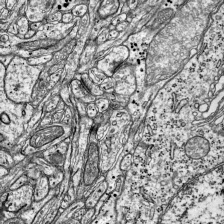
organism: Mouse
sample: Visual Cortex